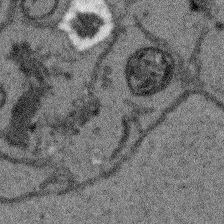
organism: Arabidopsis thaliana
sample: Root tip